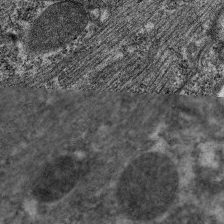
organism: C. elegans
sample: Pharynx